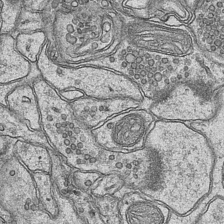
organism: Mouse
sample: CA1 Hippocampus